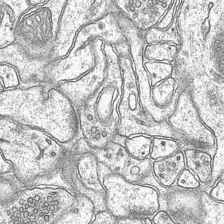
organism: Mouse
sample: CA1 Hippocampus